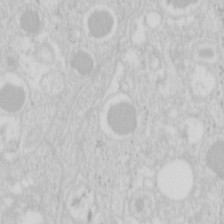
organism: Mouse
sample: Pancreas